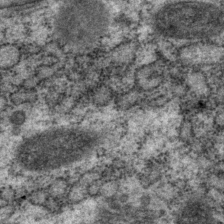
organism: P. pacificus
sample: Pharynx